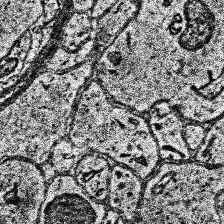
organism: Human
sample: Temporal Lobe